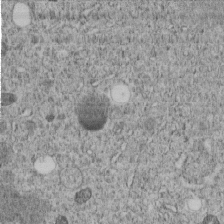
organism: C. elegans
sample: C. elegans embryo early stage